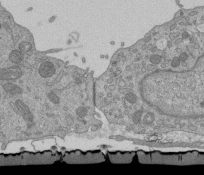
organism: Mouse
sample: ED-1 cell nuclei; centrioles